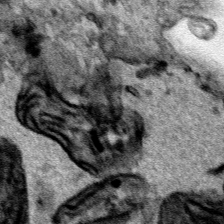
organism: Human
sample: Mitochondria in HCT116 cells